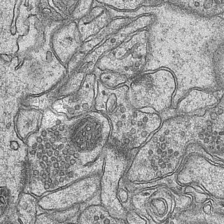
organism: Mouse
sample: CA1 Hippocampus